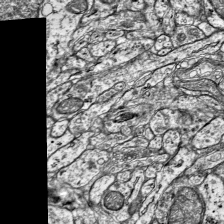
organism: Mouse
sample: Visual Cortex